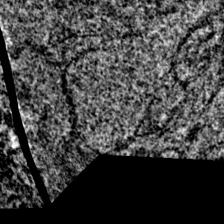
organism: Mouse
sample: Primary visual cortex